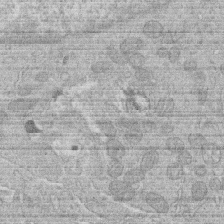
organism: Human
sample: Macrophage cells